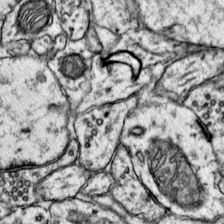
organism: Mouse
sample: Primary visual cortex